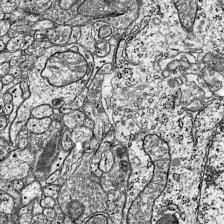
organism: Mouse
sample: Visual Cortex